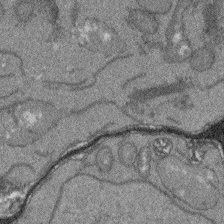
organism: Arabidopsis thaliana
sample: Root tip